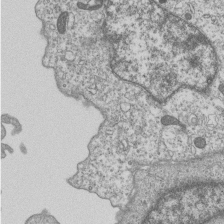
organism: Human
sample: MDA-MB-231 cells